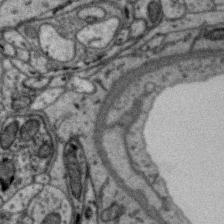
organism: Zebra finch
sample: Brain